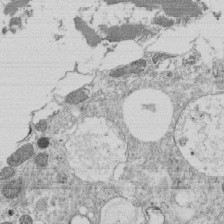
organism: Tetrahymena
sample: Cilia in tetrahymena